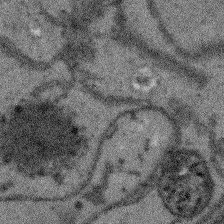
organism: Arabidopsis thaliana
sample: Root tip